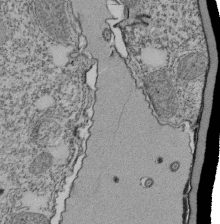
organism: Tetrahymena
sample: Cilia in tetrahymena